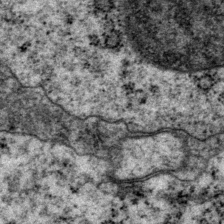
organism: P. pacificus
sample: Pharynx